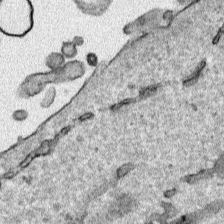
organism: Human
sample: Mitochondria in HCT116 cells